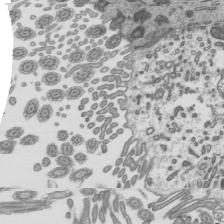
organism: Mouse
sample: Mouse epididymis efferent ductule cilia